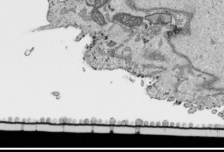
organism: Human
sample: Mitochondria in HCT116 cells